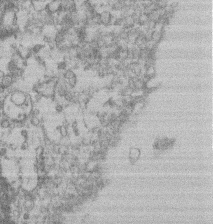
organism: Mouse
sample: T cell stromal cell synapse